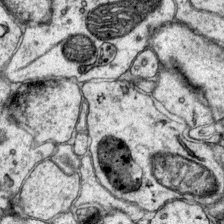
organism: Mouse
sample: Primary visual cortex